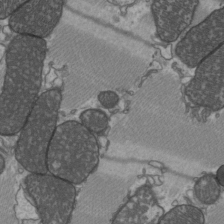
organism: C57BL Mouse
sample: Heart